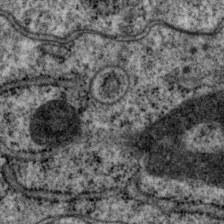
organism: P. pacificus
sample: Pharynx